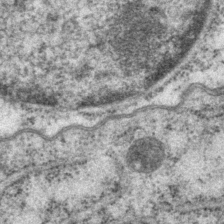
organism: P. pacificus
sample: Pharynx